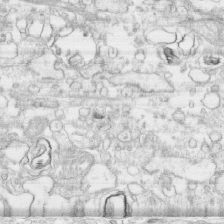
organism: Human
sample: CRL-1474